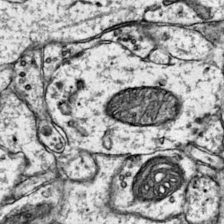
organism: Mouse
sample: Primary visual cortex